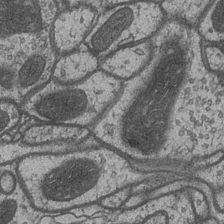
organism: Drosophila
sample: Optic medulla